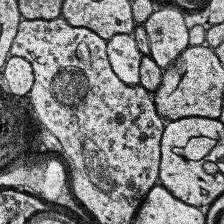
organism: Human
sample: Temporal Lobe